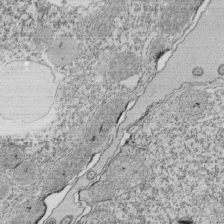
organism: Tetrahymena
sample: Cilia in tetrahymena